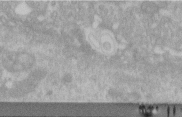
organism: Human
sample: Centriole in RPE cells